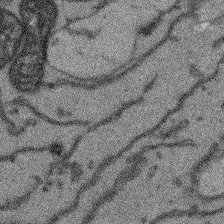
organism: Arabidopsis thaliana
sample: Root tip